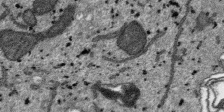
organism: Human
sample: Lung epithelial cells, uninfected (mock) control